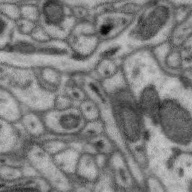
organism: Zebra finch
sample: Brain